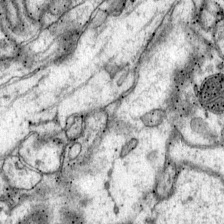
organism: Mouse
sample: Primary visual cortex